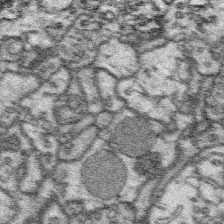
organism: Platynereis dumerilii